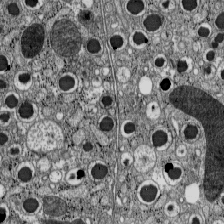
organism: C57BL Mouse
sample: Pancreatic islet